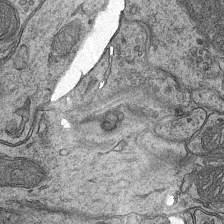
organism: Mouse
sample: CA1 Hippocampus